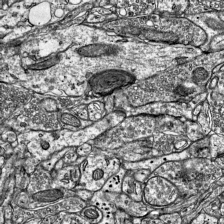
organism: Mouse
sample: Visual Cortex